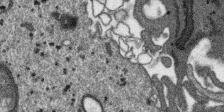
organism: Human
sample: Lung epithelial cells infected with SARS-CoV-2